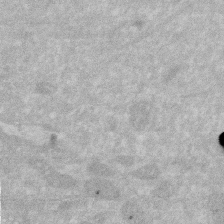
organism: Human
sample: HIV infected U937 cells